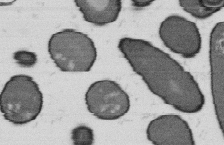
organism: B. subtilis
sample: Bacterial spore